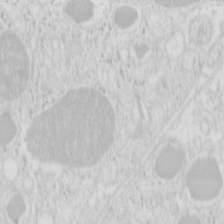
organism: Mouse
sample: Pancreas